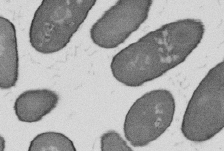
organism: B. subtilis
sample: Bacterial spore